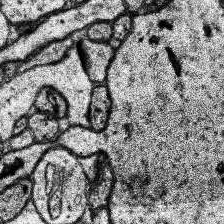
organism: Human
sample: Temporal Lobe